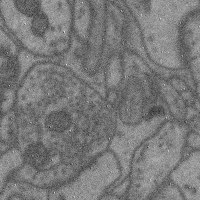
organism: Mouse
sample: Cerebral cortex